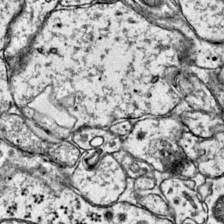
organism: Mouse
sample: Primary visual cortex